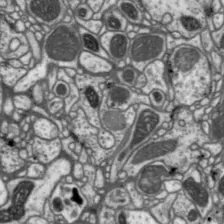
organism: Drosophila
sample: Protocerebral bridge